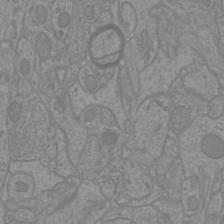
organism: Mouse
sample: Cortical neurons